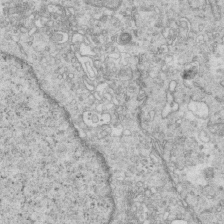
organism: Mouse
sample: Multiciliated cells